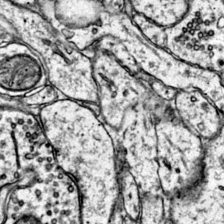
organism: Mouse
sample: Primary visual cortex